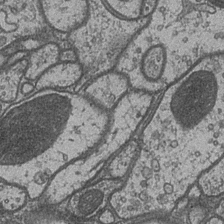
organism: Drosophila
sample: Optic medulla